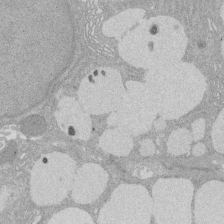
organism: Rat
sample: Salivary granule